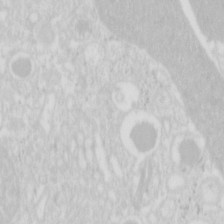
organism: Mouse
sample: Pancreas